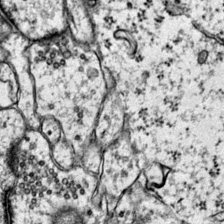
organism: Mouse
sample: Primary visual cortex